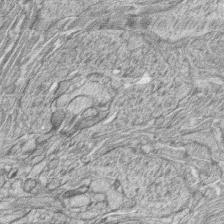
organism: Zebrafish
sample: synaptic ribbons in rod cells and cone cells